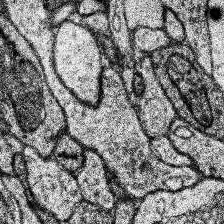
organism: Human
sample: Temporal Lobe